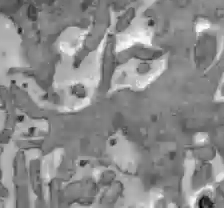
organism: C57BL Mouse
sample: Liver